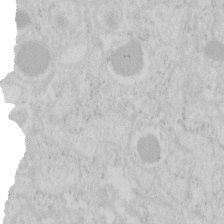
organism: Mouse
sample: Pancreas